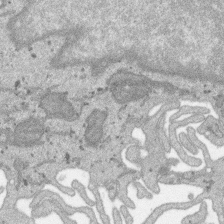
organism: Human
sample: Lung epithelial cells infected with SARS-CoV-2